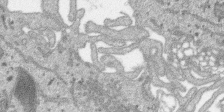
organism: Human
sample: Lung epithelial cells infected with SARS-CoV-2